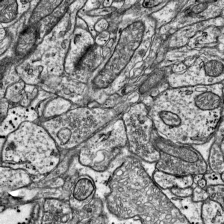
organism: Mouse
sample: Visual Cortex